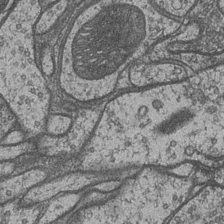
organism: Drosophila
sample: Optic medulla